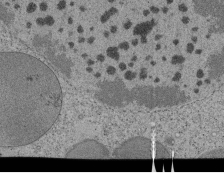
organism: Tetrahymena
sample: Cilia in tetrahymena